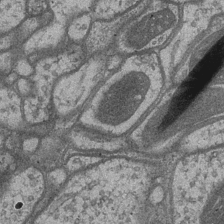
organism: Drosophila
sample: Optic medulla